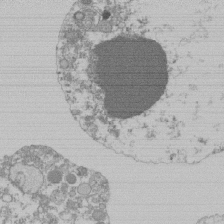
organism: Mouse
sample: Activated Pmel transgenic CD8+ T Cells